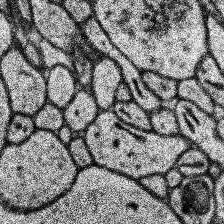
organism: Human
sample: Temporal Lobe